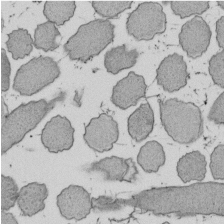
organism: E. coli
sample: Bacterial nucleoid